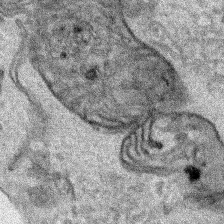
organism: Human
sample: Mitochondria in HCT116 cells